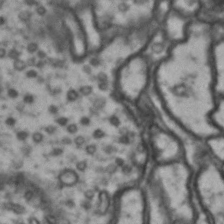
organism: Drosophila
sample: Brain